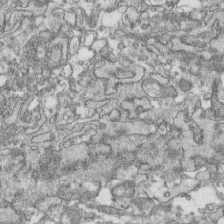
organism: Human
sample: CRL-1474